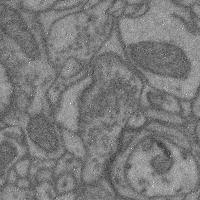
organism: Mouse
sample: Cerebral cortex